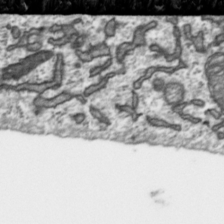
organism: Toxoplasma gondii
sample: Parasites in a vacuole inside a host cell